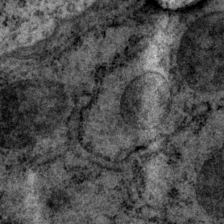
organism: P. pacificus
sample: Pharynx